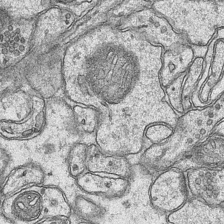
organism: Mouse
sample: CA1 Hippocampus